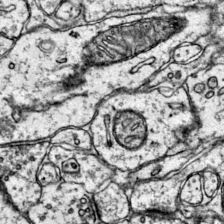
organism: Mouse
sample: Primary visual cortex